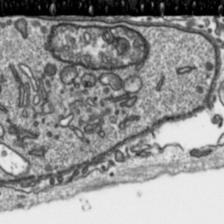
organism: Toxoplasma gondii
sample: Parasites in a vacuole inside a host cell